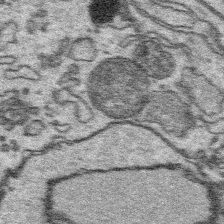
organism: Platynereis dumerilii